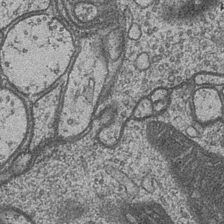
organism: Drosophila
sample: Optic medulla